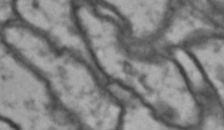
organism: Drosophila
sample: Brain